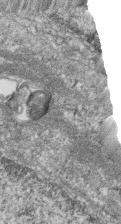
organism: Zebrafish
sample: Cilia; retinal pigment epithelium